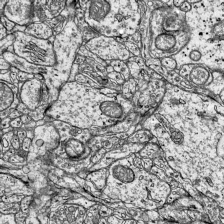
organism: Mouse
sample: Visual Cortex